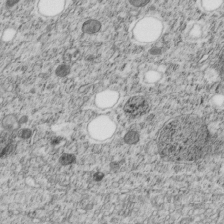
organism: C. elegans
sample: C. elegans embryo early stage